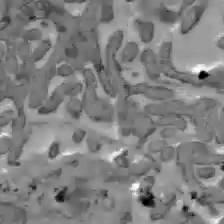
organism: C57BL Mouse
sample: Liver